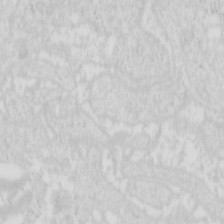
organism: Mouse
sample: Pancreas